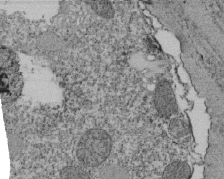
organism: Tetrahymena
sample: Cilia in tetrahymena